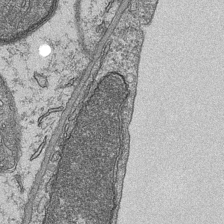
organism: Mouse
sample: CA1 Hippocampus